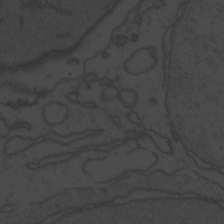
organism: Zebrafish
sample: Macrophage infected with Toxoplasma gondii